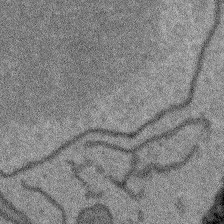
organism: Arabidopsis thaliana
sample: Root tip